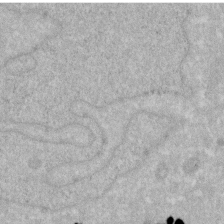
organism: Human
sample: HIV infected U937 cells